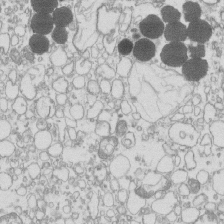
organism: Mouse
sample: Macrophages